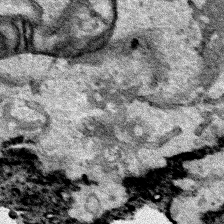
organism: Human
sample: Mitochondria in HCT116 cells